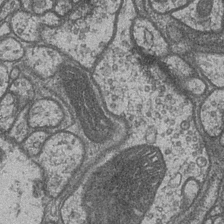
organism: Drosophila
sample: Optic medulla